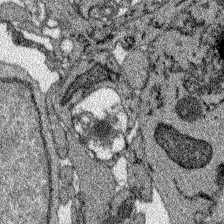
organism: Zebrafish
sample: Larval olfactory bulb